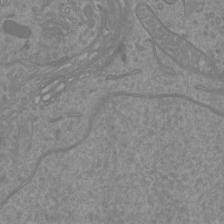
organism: Mouse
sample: Cortical neurons